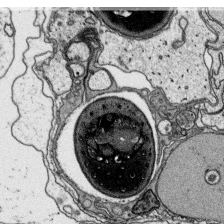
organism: Platynereis dumerilii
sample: Parapodia